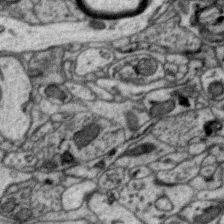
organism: Zebra finch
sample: Brain